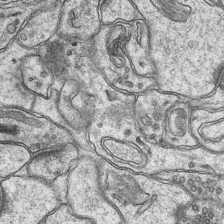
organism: Mouse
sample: CA1 Hippocampus